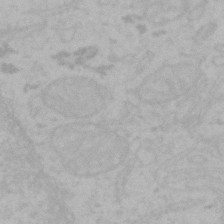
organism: Mouse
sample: Choroid plexus